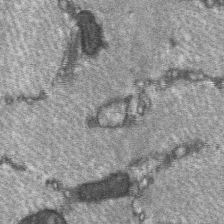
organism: C57BL Mouse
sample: Soleus